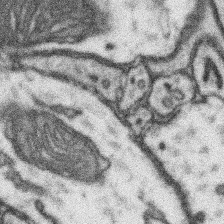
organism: Mouse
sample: Somatosensory cortex neuropil